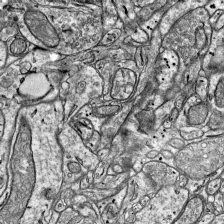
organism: Mouse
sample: Visual Cortex